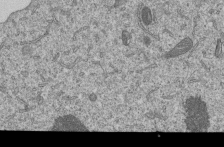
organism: Human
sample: MDA-MB-231 cells